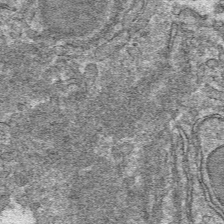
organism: Mouse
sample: Mouse hepatocytes